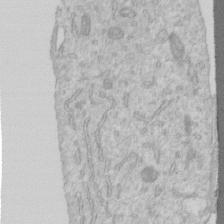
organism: Human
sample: Centriole in RPE cells